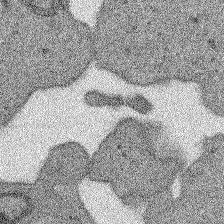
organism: Human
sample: HeLa cells